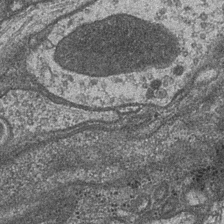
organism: Drosophila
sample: Optic medulla